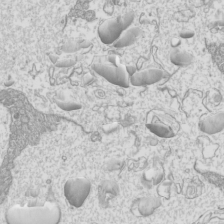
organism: Mouse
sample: Cilia; mouse epididymis